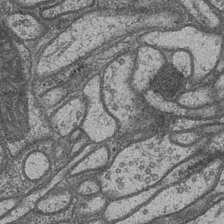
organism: Drosophila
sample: Optic medulla